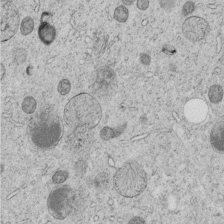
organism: C. elegans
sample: C. elegans embryo early stage